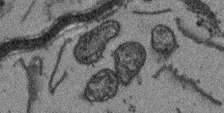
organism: Arabidopsis thaliana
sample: Root tip